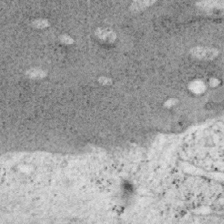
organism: Mouse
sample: OT-I killer T cells with ID8 ovarian cancer cells